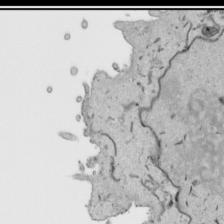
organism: Human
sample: Mitochondria in HCT116 cells